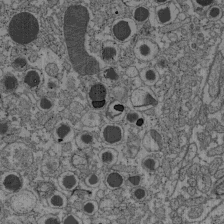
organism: C57BL Mouse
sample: Pancreatic islet